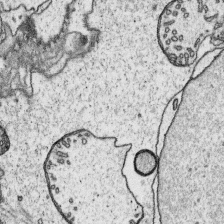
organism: Platynereis dumerilii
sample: Parapodia